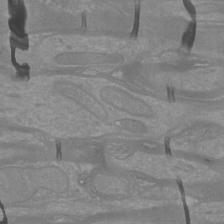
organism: Mouse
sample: Cortical neurons